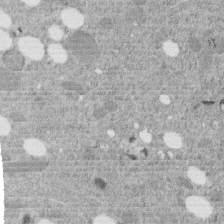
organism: C. elegans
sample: C. elegans embryo early stage